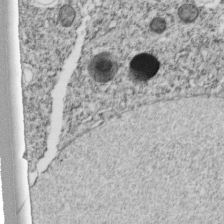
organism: C. elegans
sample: C. elegans embryo early stage